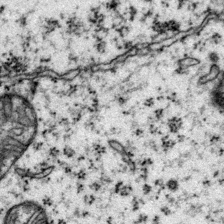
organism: Mouse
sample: Primary visual cortex